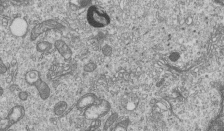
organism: Human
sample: MDA-MB-231 cells